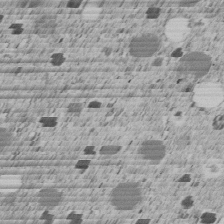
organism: C. elegans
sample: C. elegans embryo early stage